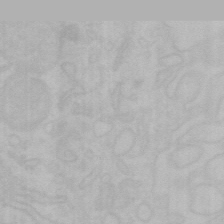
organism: Mouse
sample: Choroid plexus